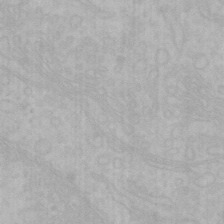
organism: Mouse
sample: Choroid plexus